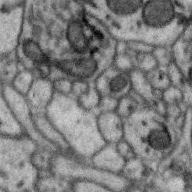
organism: Zebra finch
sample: Brain